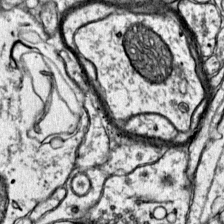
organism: Mouse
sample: Primary visual cortex